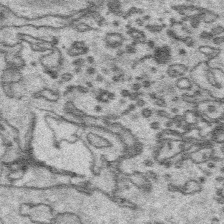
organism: Platynereis dumerilii